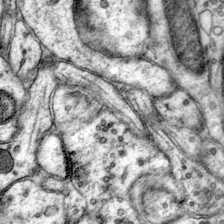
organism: Mouse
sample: Primary visual cortex